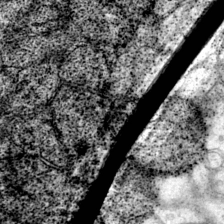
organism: Mouse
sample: Primary visual cortex